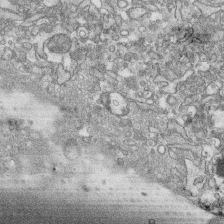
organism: Human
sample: CRL-1474